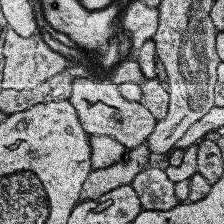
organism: Human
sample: Temporal Lobe